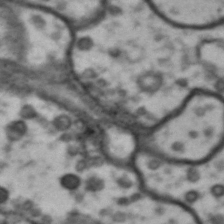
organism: Drosophila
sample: Brain